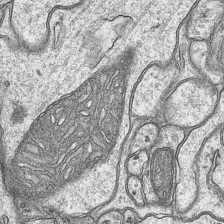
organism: Mouse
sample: CA1 Hippocampus